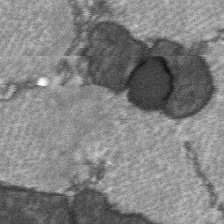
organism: C57BL Mouse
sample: Soleus